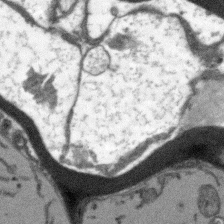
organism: Arabidopsis thaliana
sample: Root tip